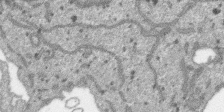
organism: Human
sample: Lung epithelial cells infected with SARS-CoV-2